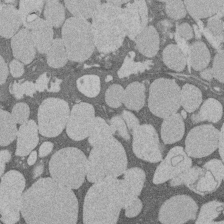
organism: Rat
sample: Salivary granule